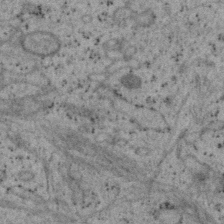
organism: Human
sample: HeLa cells